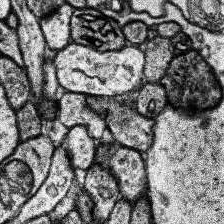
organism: Human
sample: Temporal Lobe